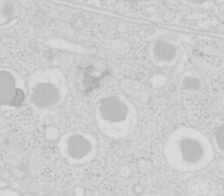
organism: Mouse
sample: Pancreas